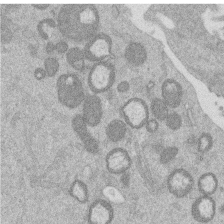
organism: Mouse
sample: Dividing mouse embryo 1 cell stage